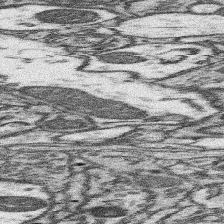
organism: Mouse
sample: Somatosensory cortex neuropil